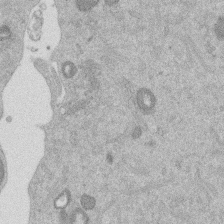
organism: Mouse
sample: Dividing mouse embryo 1 cell stage